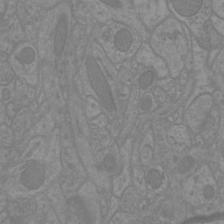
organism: Mouse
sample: Cortical neurons